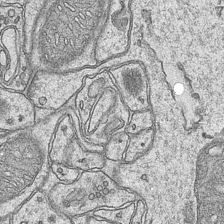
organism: Mouse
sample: CA1 Hippocampus